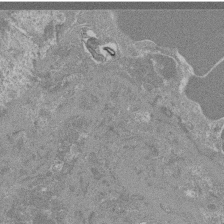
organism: Mouse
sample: Glomerulus